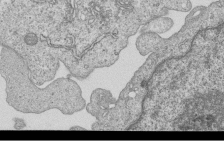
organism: Human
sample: MDA-MB-231 cells